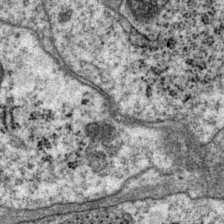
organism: P. pacificus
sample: Pharynx